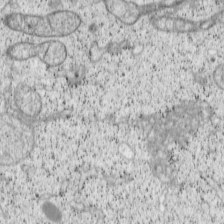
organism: African green monkey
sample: COS-7 cells